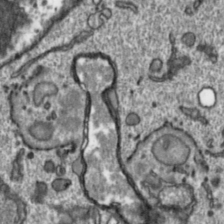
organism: Toxoplasma gondii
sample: Parasites in a vacuole inside a host cell